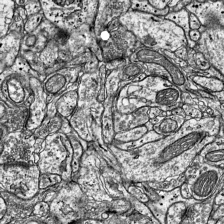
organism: Mouse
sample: Visual Cortex